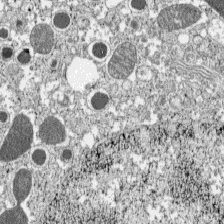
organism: C57BL Mouse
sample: Pancreatic islet